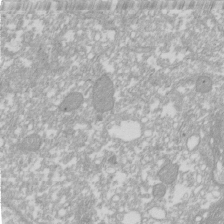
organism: Xenopus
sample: Cilia; centrioles in frog embryo cells